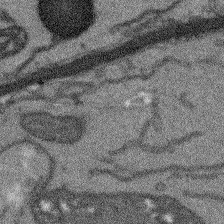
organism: Arabidopsis thaliana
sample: Root tip